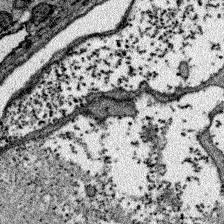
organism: Zebrafish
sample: Larval olfactory bulb